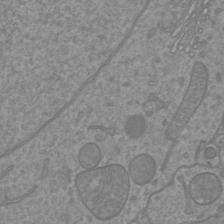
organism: Mouse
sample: Cortical neurons